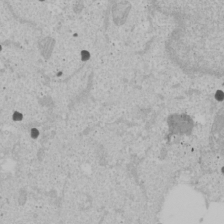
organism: Human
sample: Mitochondria in U2OS cells